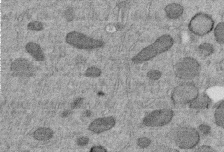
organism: C. elegans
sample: C. elegans embryo early stage